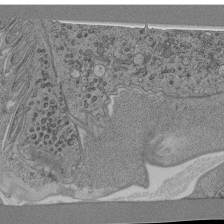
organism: C. elegans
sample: C. elegans pharynx